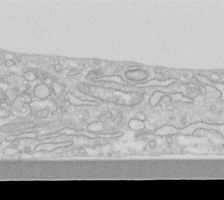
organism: Human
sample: Fibroblast cells